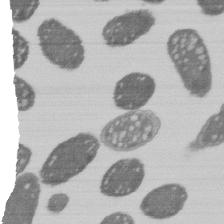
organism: E. coli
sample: Bacterial nucleoid